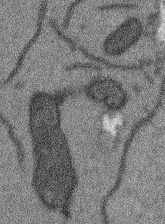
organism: Arabidopsis thaliana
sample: Root tip